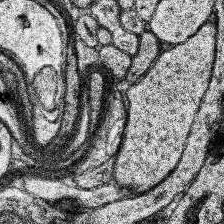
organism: Human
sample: Temporal Lobe